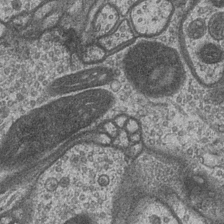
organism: Drosophila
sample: Optic medulla